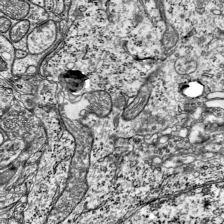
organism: Mouse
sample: Visual Cortex